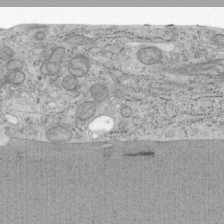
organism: Human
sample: HeLa cells